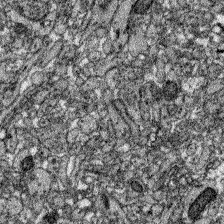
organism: Zebrafish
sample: Larval olfactory bulb